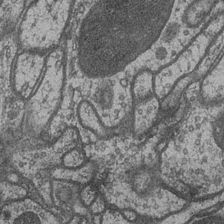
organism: Drosophila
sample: Optic medulla